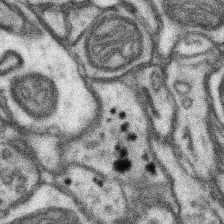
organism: Mouse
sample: Somatosensory cortex neuropil